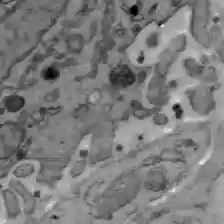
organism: C57BL Mouse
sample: Liver